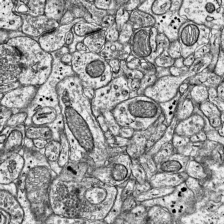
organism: Mouse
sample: Visual Cortex